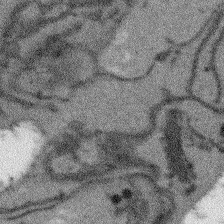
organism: Arabidopsis thaliana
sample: Root tip